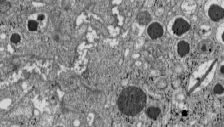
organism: C57BL Mouse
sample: Pancreatic islet